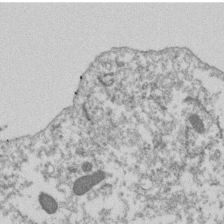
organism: Dictyostelium discoideum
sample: Dictyostelium multivesicular bodies